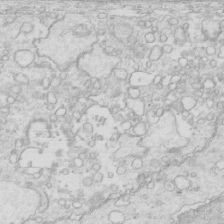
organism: Mouse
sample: Multiciliated cells